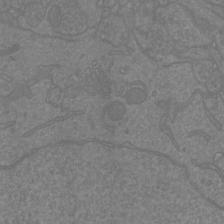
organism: Mouse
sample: Cortical neurons